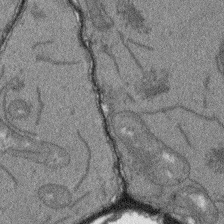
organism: Arabidopsis thaliana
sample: Root tip